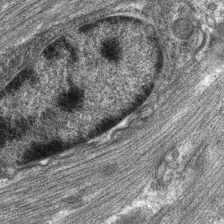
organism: C. elegans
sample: Pharynx